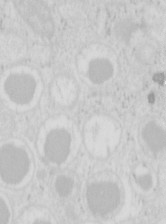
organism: Mouse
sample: Pancreas